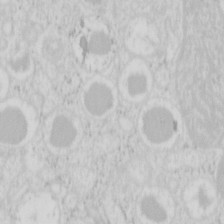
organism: Mouse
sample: Pancreas